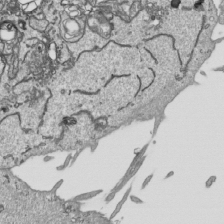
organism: Human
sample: Mitochondria in HCT116 cells